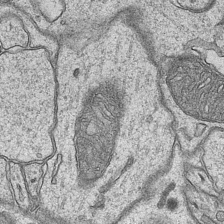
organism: Mouse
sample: CA1 Hippocampus